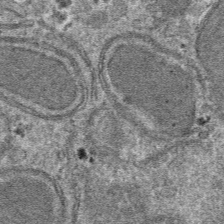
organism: Mouse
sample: Mouse hepatocytes